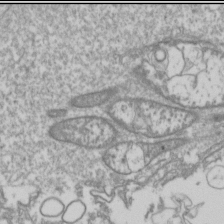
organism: Drosophila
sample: Cell division; meiosis; drosophila spermatocytes